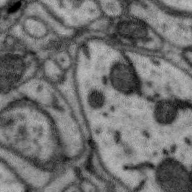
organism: Zebra finch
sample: Brain